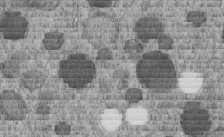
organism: C. elegans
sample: C. elegans embryo early stage